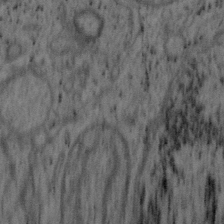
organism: Human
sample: HeLa cells